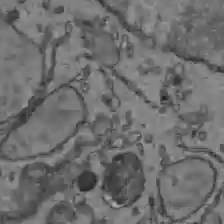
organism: C57BL Mouse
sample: Liver